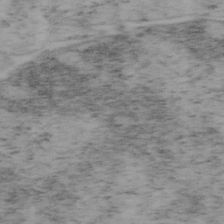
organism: Mouse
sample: OT-I killer T cells with ID8 ovarian cancer cells